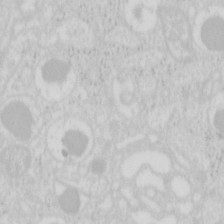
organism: Mouse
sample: Pancreas